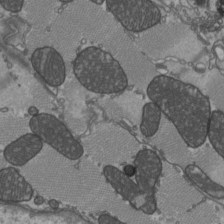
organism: C57BL Mouse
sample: Heart